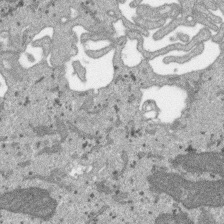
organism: Human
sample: Lung epithelial cells infected with SARS-CoV-2